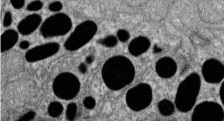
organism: Zebrafish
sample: Cilia; retinal pigment epithelium